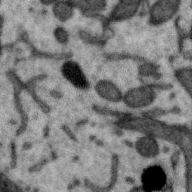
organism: Zebra finch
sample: Brain